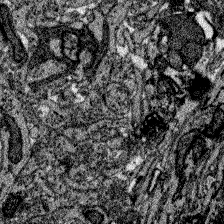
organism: Zebrafish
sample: Larval olfactory bulb